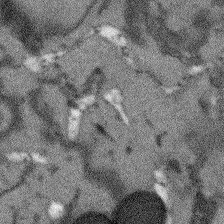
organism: Arabidopsis thaliana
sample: Root tip